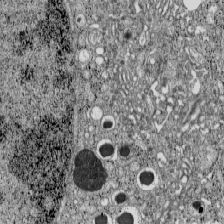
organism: C57BL Mouse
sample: Pancreatic islet